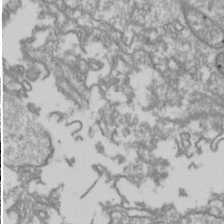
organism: Drosophila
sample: Cell division; meiosis; drosophila spermatocytes